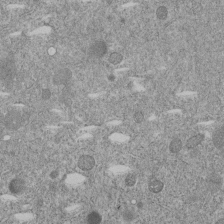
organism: C. elegans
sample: C. elegans embryo early stage